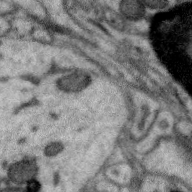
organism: Zebra finch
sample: Brain